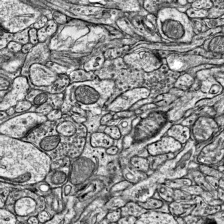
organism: Mouse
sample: Visual Cortex